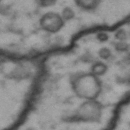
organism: Drosophila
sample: Brain